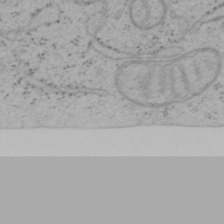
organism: Human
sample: HeLa cells